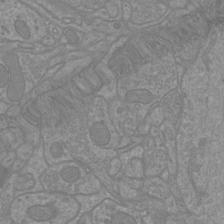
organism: Mouse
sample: Cortical neurons